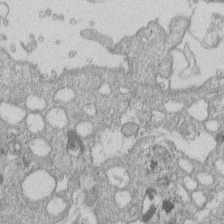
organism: Human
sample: Macrophage cells